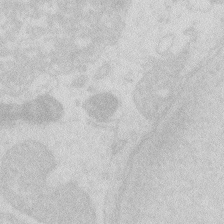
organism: Zebrafish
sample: Macrophage